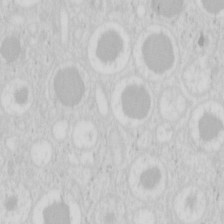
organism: Mouse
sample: Pancreas